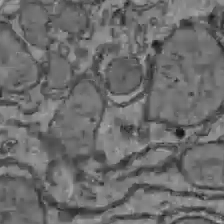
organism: C57BL Mouse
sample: Liver